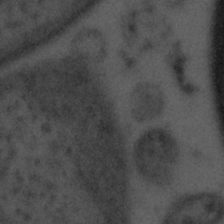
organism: Tuwongella immobilis